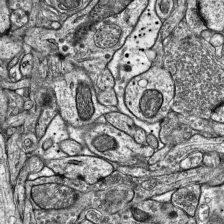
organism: Mouse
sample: Visual Cortex